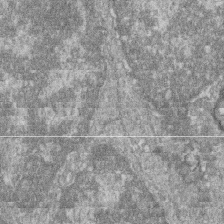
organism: Zebrafish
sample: Cilia; retinal pigment epithelium